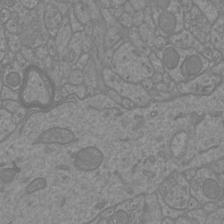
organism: Mouse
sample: Cortical neurons